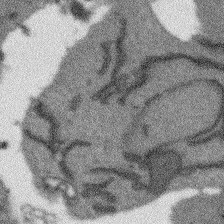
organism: Arabidopsis thaliana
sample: Root tip